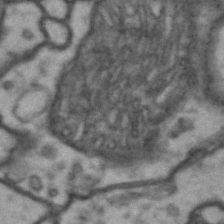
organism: Drosophila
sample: Brain